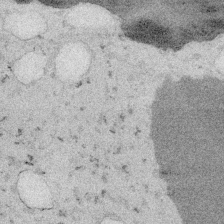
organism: Embia sp.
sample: Silk gland